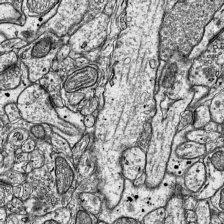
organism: Mouse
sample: Visual Cortex